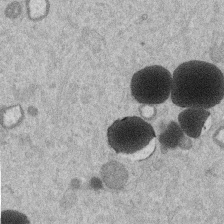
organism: Mouse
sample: Dividing mouse embryo 1 cell stage